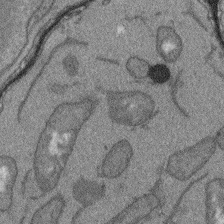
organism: Arabidopsis thaliana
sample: Root tip